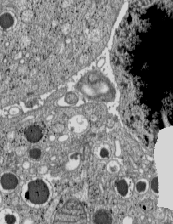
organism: C57BL Mouse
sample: Pancreatic islet